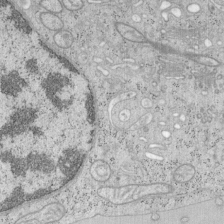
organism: Mouse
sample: OT-I killer T cells with ID8 ovarian cancer cells